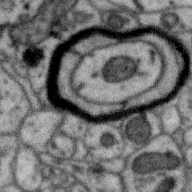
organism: Zebra finch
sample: Brain